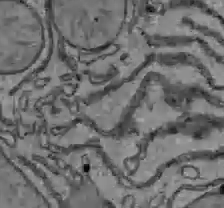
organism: C57BL Mouse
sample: Liver